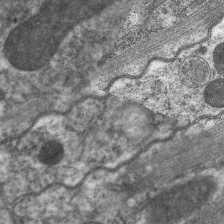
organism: C. elegans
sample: Pharynx